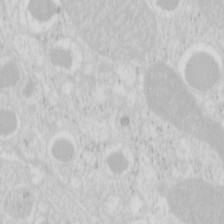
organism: Mouse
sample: Pancreas